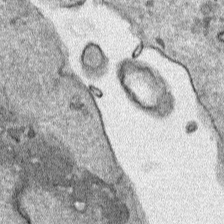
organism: Human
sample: Mitochondria in HCT116 cells